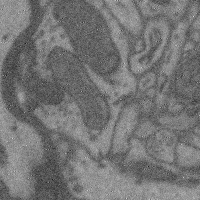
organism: Mouse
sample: Cerebral cortex